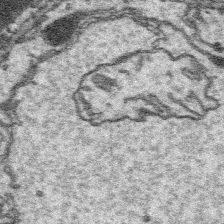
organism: Platynereis dumerilii